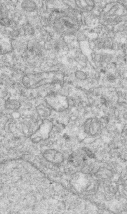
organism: Human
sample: HeLa cell HIV synapse